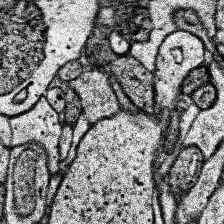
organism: Human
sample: Temporal Lobe